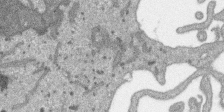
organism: Human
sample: Lung epithelial cells infected with SARS-CoV-2